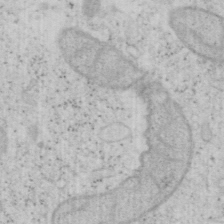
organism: Human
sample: HeLa cells